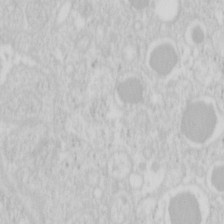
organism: Mouse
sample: Pancreas